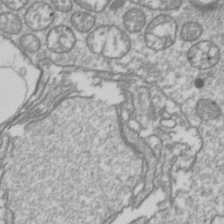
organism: Drosophila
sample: Cell division; meiosis; drosophila spermatocytes